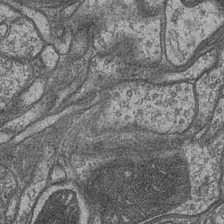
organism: Drosophila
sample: Optic medulla